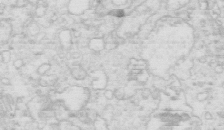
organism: Mouse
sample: Multiciliated cells